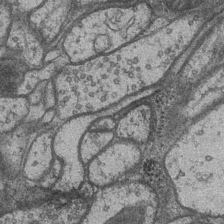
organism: Drosophila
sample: Optic medulla